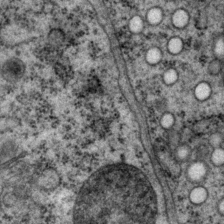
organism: P. pacificus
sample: Pharynx